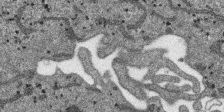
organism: Human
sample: Lung epithelial cells infected with SARS-CoV-2